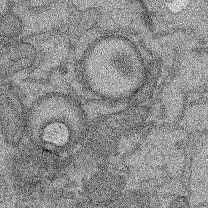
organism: Human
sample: HeLa cells